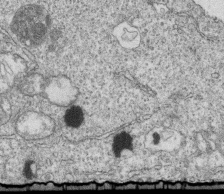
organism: Human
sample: HeLa cell HIV synapse